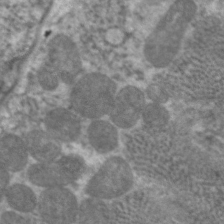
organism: C. elegans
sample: Pharynx